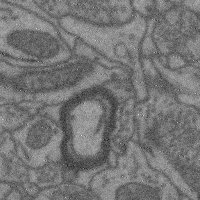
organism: Mouse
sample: Cerebral cortex